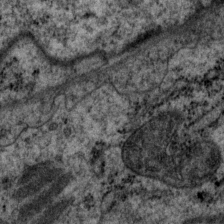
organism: P. pacificus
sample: Pharynx